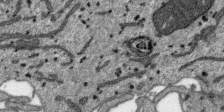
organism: Human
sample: Lung epithelial cells, uninfected (mock) control